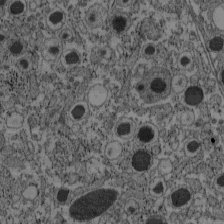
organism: C57BL Mouse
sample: Pancreatic islet